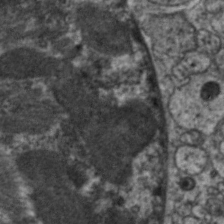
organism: C. elegans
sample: Pharynx